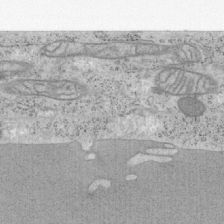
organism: Human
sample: HeLa cells